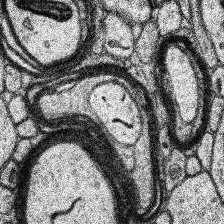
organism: Human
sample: Temporal Lobe